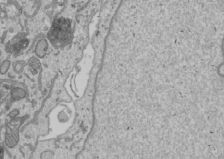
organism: Human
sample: Mitochondria in U2OS cells